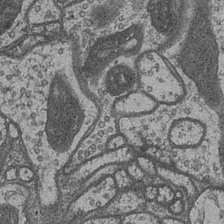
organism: Drosophila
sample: Optic medulla